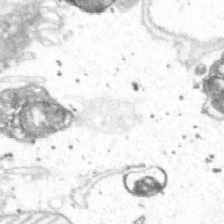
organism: Human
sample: HeLa cells